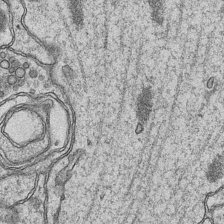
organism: Mouse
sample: CA1 Hippocampus